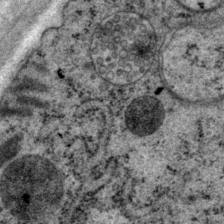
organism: P. pacificus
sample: Pharynx